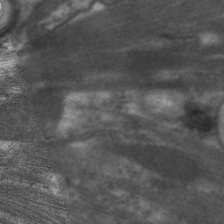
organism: C. elegans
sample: Pharynx